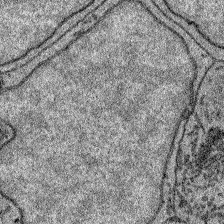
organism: Zebrafish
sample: Larval olfactory bulb